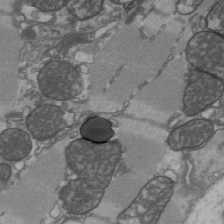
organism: C57BL Mouse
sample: Heart